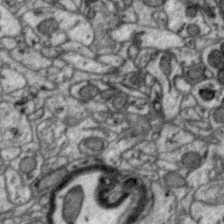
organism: Zebra finch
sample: Brain